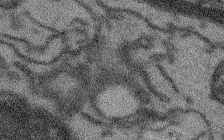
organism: Arabidopsis thaliana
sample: Root tip